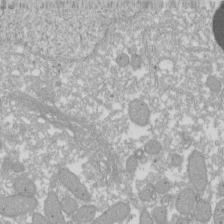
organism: Xenopus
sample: Cilia; centrioles in frog embryo cells